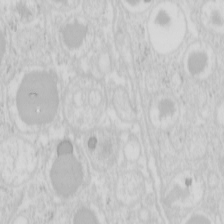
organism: Mouse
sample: Pancreas